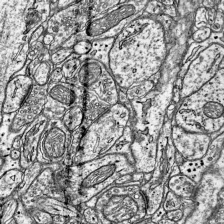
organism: Mouse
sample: Visual Cortex